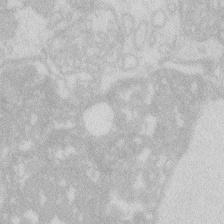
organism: Zebrafish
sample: Macrophage